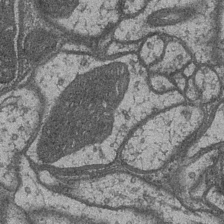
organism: Drosophila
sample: Optic medulla